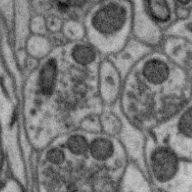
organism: Zebra finch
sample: Brain